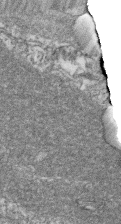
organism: Zebrafish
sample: Cilia; retinal pigment epithelium